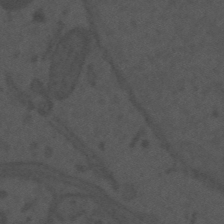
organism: Mouse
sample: Suprachiasmatic nucleus